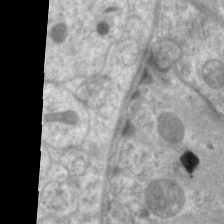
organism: C. elegans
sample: Pharynx